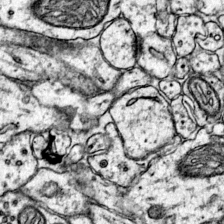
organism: Mouse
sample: Primary visual cortex